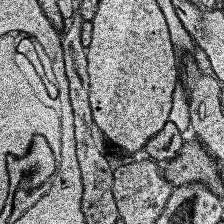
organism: Human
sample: Temporal Lobe